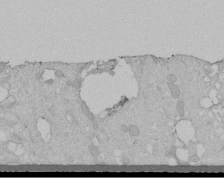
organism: Human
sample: Melanocyte Keratinocyte synapse skin construct